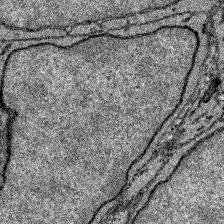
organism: Zebrafish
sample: Larval olfactory bulb